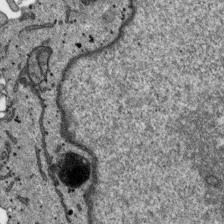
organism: Human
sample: Lung epithelial cells, uninfected (mock) control